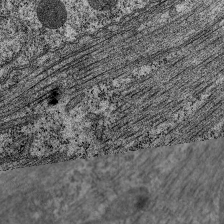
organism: C. elegans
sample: Pharynx